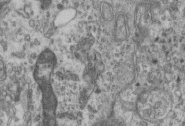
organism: Mouse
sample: Centriole in ependymal cells